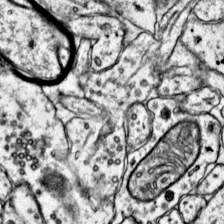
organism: Mouse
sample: Primary visual cortex